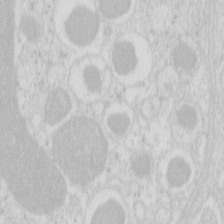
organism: Mouse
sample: Pancreas